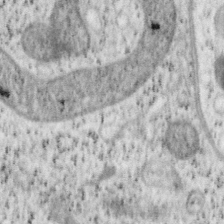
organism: Mouse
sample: OT-I killer T cells with ID8 ovarian cancer cells